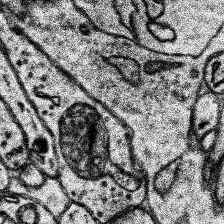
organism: Human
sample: Temporal Lobe